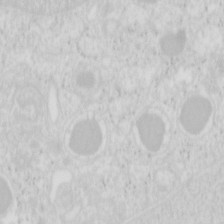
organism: Mouse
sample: Pancreas